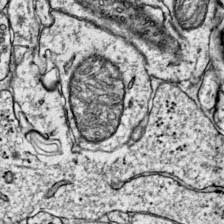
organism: Mouse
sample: Primary visual cortex